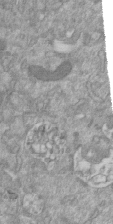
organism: Mouse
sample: ED-1 cell nuclei; centrioles